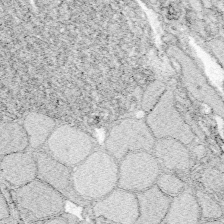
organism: Zebrafish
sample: Whole-Brain